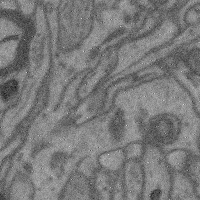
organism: Mouse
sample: Cerebral cortex